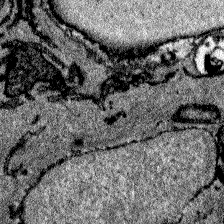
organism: Zebrafish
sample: Larval olfactory bulb